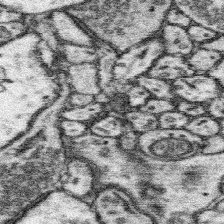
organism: Mouse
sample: Somatosensory cortex neuropil